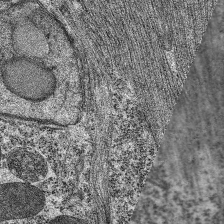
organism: C. elegans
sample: Pharynx